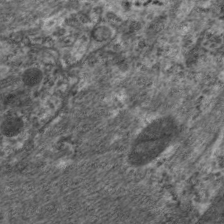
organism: C. elegans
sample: Pharynx